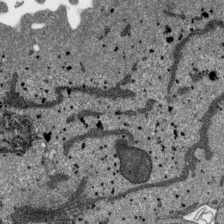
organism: Human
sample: Lung epithelial cells, uninfected (mock) control